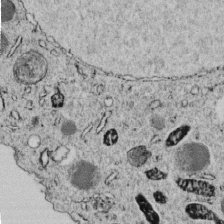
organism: C. elegans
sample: C. elegans embryo early stage